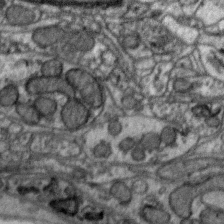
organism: Zebra finch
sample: Brain